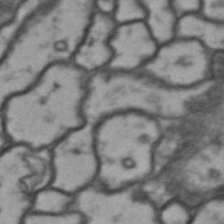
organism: Drosophila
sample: Brain